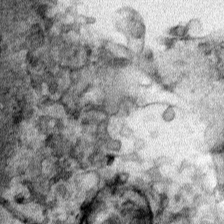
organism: Human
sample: Mitochondria in HCT116 cells